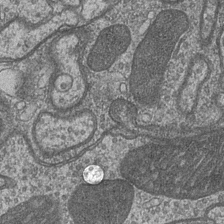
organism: Drosophila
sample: Optic medulla